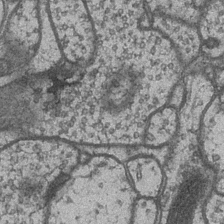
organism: Drosophila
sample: Optic medulla